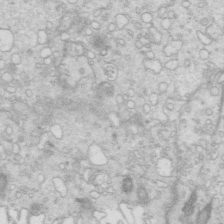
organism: Mouse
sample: Multiciliated cells